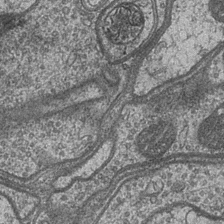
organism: Drosophila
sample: Optic medulla